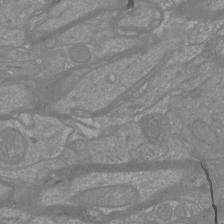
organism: Mouse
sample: Cortical neurons